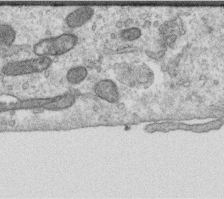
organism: Human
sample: Centriole in RPE cells